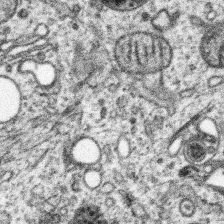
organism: Human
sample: HeLa cells